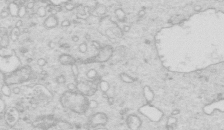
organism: Mouse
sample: Multiciliated cells